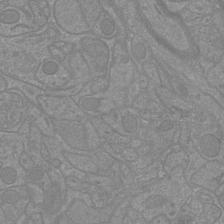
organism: Mouse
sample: Cortical neurons